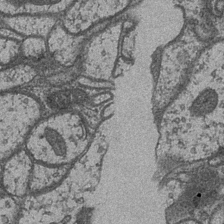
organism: Drosophila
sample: Optic medulla